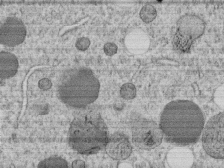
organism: C. elegans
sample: C. elegans embryo early stage